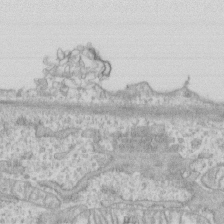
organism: Human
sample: CRL-1474